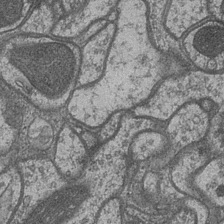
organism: Drosophila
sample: Optic medulla